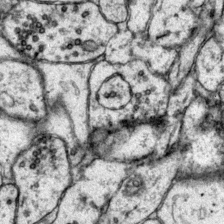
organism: Mouse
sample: Primary visual cortex